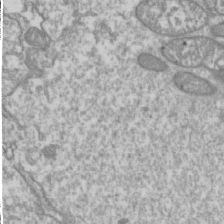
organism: Drosophila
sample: Cell division; meiosis; drosophila spermatocytes